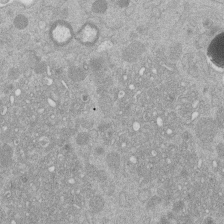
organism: Mouse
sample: Dividing mouse embryo 1 cell stage